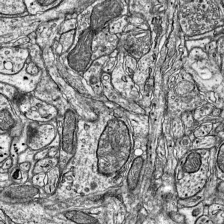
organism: Mouse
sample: Visual Cortex